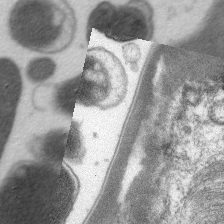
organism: C. elegans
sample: Pharynx